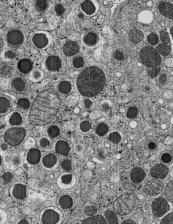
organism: C57BL Mouse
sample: Pancreatic islet